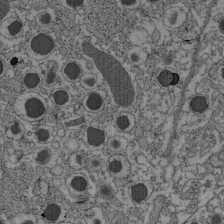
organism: C57BL Mouse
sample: Pancreatic islet